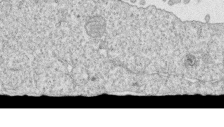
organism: Human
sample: HeLa cell HIV synapse